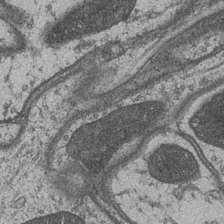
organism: Drosophila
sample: Optic medulla